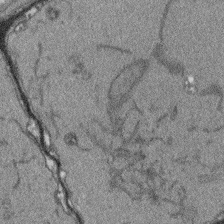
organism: Arabidopsis thaliana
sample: Root tip